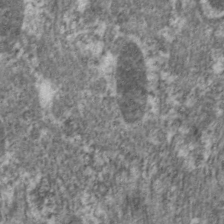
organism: C. elegans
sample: Pharynx